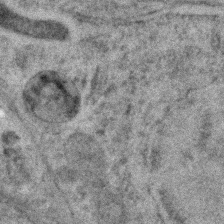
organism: C. elegans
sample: C. elegans embryo